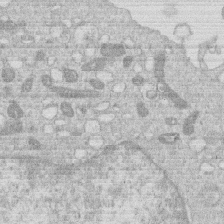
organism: Human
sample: Macrophage cells